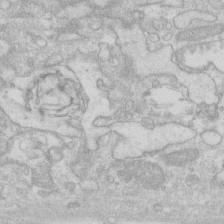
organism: Human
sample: Fibroblast cells